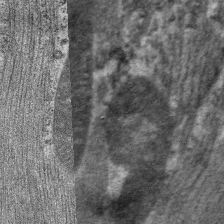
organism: C. elegans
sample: Pharynx